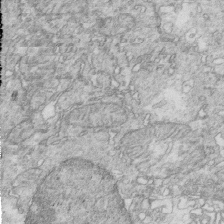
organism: Mouse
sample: Multiciliated cells